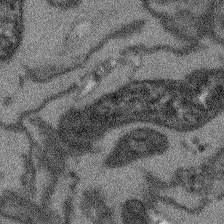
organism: Arabidopsis thaliana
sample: Root tip